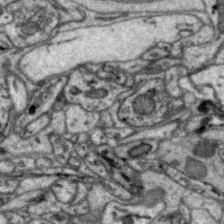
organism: Zebra finch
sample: Brain